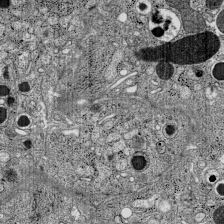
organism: C57BL Mouse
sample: Pancreatic islet